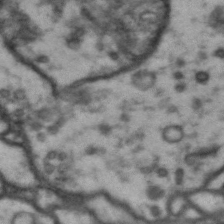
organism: Drosophila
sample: Brain